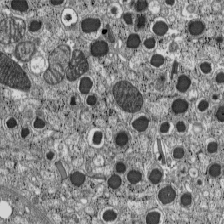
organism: C57BL Mouse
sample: Pancreatic islet